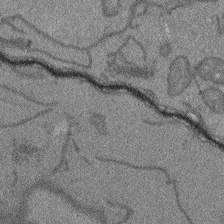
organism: Arabidopsis thaliana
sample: Root tip